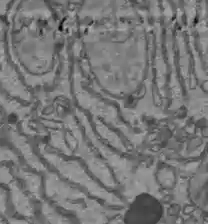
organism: C57BL Mouse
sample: Liver